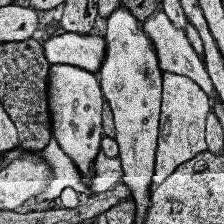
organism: Human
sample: Temporal Lobe